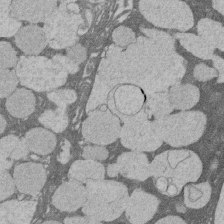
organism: Rat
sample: Salivary granule